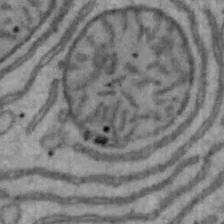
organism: Mouse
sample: Liver